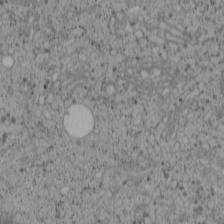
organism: African green monkey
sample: COS-7 cells